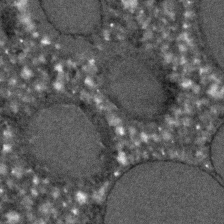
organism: C. elegans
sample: C. elegans embryo